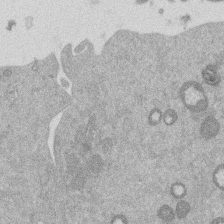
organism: Mouse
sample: Dividing mouse embryo 1 cell stage